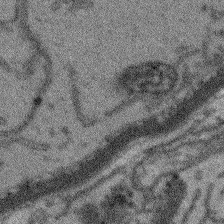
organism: Arabidopsis thaliana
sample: Root tip